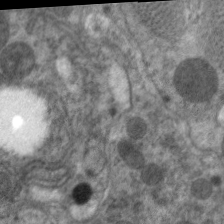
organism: C. elegans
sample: Pharynx